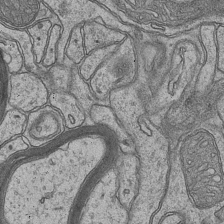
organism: Mouse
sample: CA1 Hippocampus